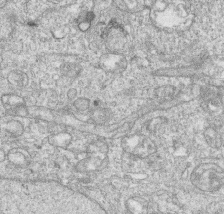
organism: Human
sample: HeLa cell HIV synapse